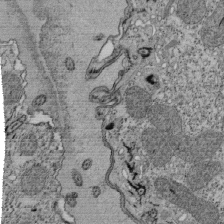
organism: Tetrahymena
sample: Cilia in tetrahymena